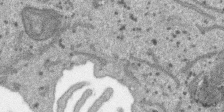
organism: Human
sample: Lung epithelial cells infected with SARS-CoV-2